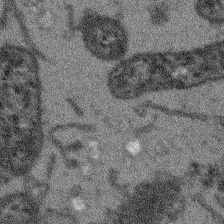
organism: Arabidopsis thaliana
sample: Root tip